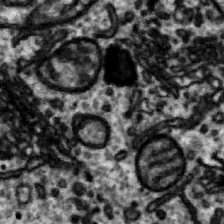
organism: Human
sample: HeLa cells